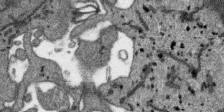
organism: Human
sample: Lung epithelial cells, uninfected (mock) control